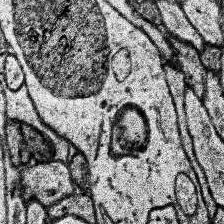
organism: Human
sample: Temporal Lobe